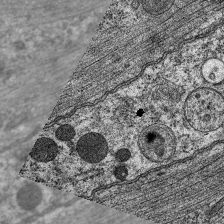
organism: C. elegans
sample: Pharynx